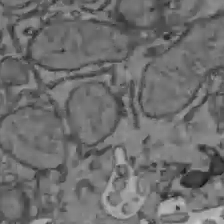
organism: C57BL Mouse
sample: Liver